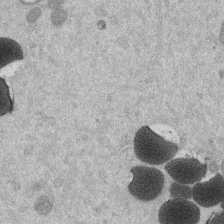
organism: Mouse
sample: Dividing mouse embryo 1 cell stage